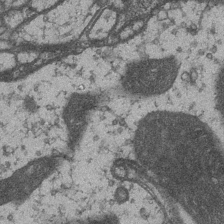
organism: Drosophila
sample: Optic medulla